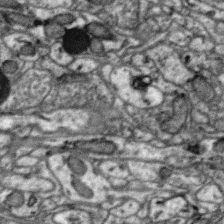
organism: Zebra finch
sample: Brain